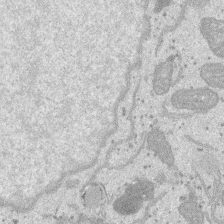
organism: Human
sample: Lung epithelial cells infected with SARS-CoV-2